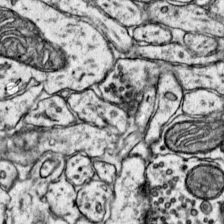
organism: Mouse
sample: Primary visual cortex